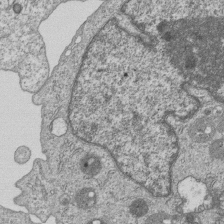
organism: Human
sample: MDA-MB-231 cells